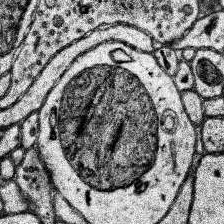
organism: Human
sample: Temporal Lobe